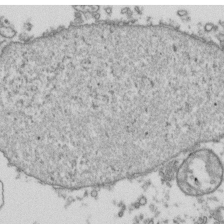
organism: Human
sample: Activated Jurkat CD4+ T cells